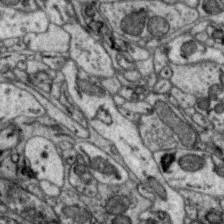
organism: Zebra finch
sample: Brain